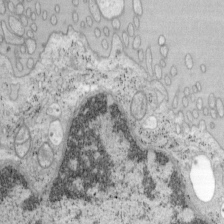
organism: Mouse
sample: OT-I killer T cells with ID8 ovarian cancer cells